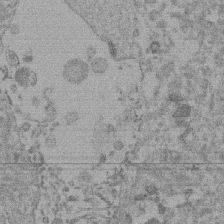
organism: Mouse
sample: Dividing mouse embryo 1 cell stage